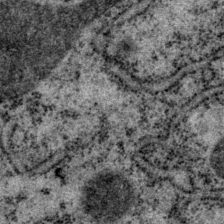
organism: P. pacificus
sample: Pharynx